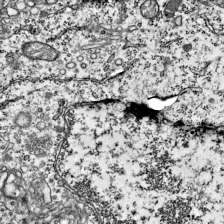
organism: Mouse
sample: Visual Cortex